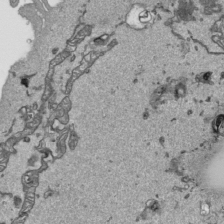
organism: Human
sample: Mitochondria in HCT116 cells